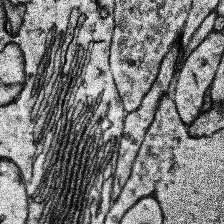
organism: Human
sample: Temporal Lobe